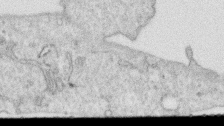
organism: Human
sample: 1205lu cells